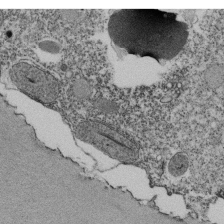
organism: Tetrahymena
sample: Cilia in tetrahymena